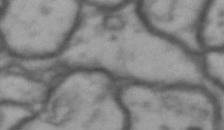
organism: Drosophila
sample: Brain